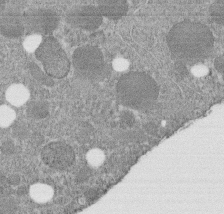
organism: C. elegans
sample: C. elegans embryo early stage